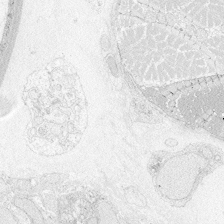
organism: Zebrafish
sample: Whole-Brain